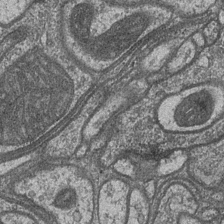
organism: Drosophila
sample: Optic medulla